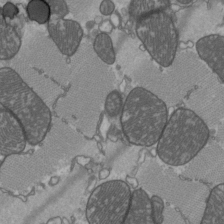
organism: C57BL Mouse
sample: Heart